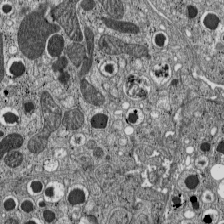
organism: C57BL Mouse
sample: Pancreatic islet